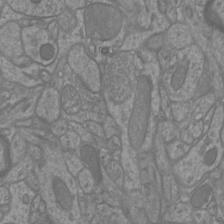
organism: Mouse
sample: Cortical neurons